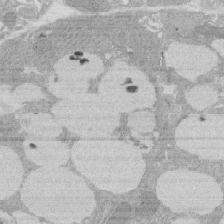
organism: Rat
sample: Salivary granule